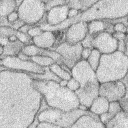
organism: Rabbit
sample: Retina